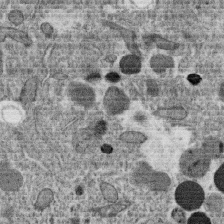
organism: C. elegans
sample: C. elegans oocyte; sperm cells